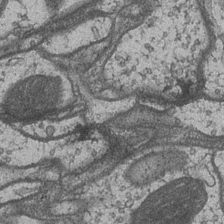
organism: Drosophila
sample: Optic medulla